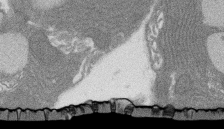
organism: Rat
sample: Salivary granule